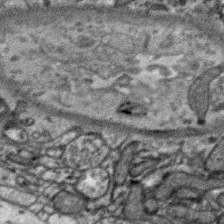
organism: Zebra finch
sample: Brain